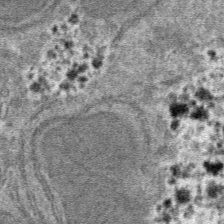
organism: Mouse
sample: Mouse hepatocytes